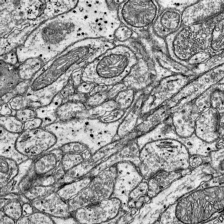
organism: Mouse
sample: Visual Cortex